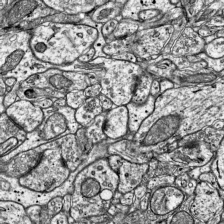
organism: Mouse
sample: Visual Cortex